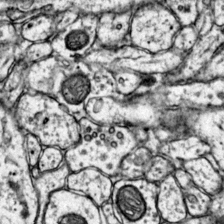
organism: Mouse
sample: Primary visual cortex